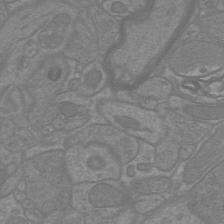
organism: Mouse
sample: Cortical neurons